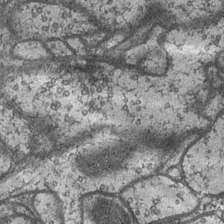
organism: Drosophila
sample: Optic medulla